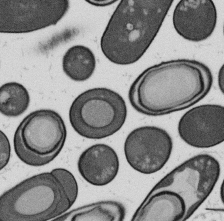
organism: B. subtilis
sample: Bacterial spore